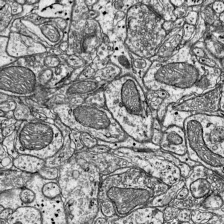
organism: Mouse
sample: Visual Cortex